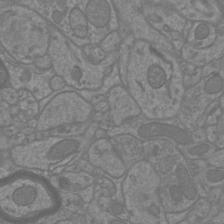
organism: Mouse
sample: Cortical neurons